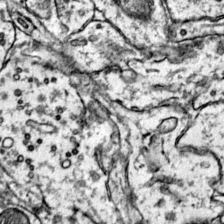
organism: Mouse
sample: Primary visual cortex